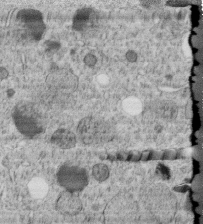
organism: C. elegans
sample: C. elegans embryo early stage